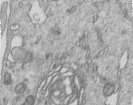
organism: Human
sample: Centriole in RPE cells